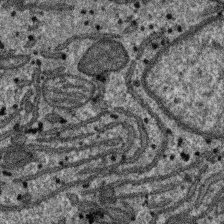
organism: Human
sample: Lung epithelial cells infected with SARS-CoV-2